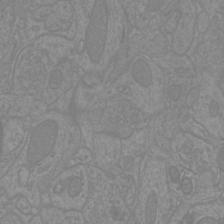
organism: Mouse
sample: Cortical neurons